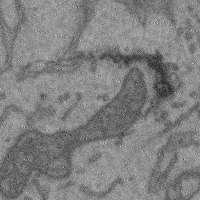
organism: Mouse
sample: Cerebral cortex